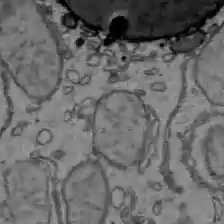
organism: C57BL Mouse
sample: Liver